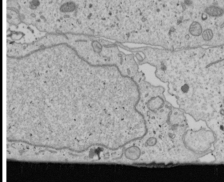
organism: Human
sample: Mitochondria in U2OS cells